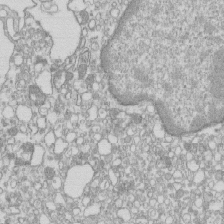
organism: Mouse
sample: Macrophages